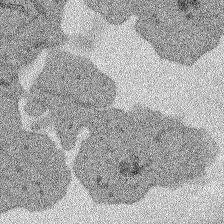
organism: Human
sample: HeLa cells